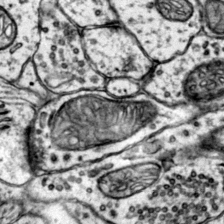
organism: Mouse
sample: Primary visual cortex